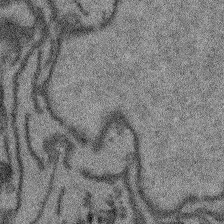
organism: Arabidopsis thaliana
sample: Root tip